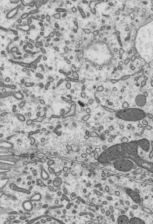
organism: Mouse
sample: Mouse epididymis efferent ductule cilia